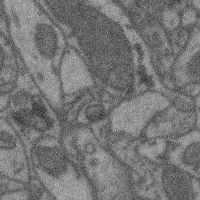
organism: Mouse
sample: Cerebral cortex